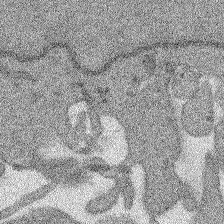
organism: Human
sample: HeLa cells